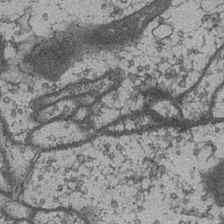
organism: Drosophila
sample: Optic medulla